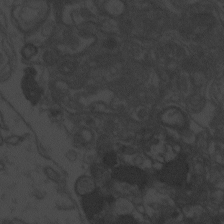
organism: Zebrafish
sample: Macrophage infected with Toxoplasma gondii